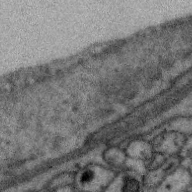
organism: Zebra finch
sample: Brain